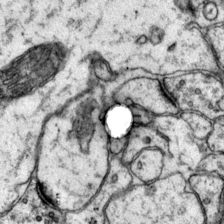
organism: Mouse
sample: Primary visual cortex